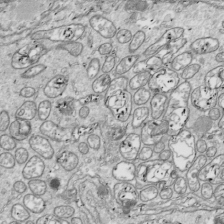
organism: Drosophila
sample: Cell division; meiosis; drosophila spermatocytes